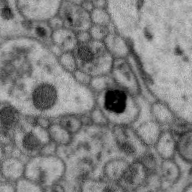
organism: Zebra finch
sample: Brain